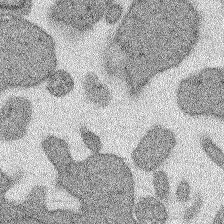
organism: Human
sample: HeLa cells